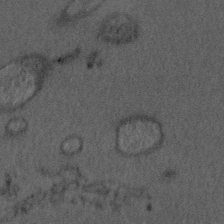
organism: Human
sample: HeLa cells